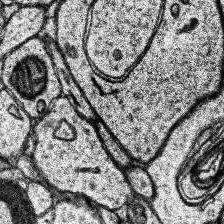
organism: Human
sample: Temporal Lobe